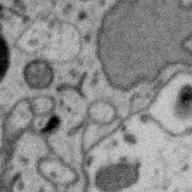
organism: Zebra finch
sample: Brain